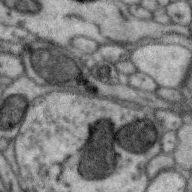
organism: Zebra finch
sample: Brain